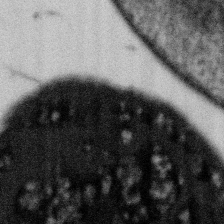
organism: Gemmata obscuriglobus